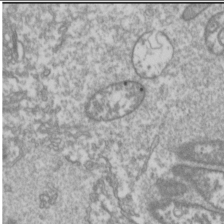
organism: Drosophila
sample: Cell division; meiosis; drosophila spermatocytes